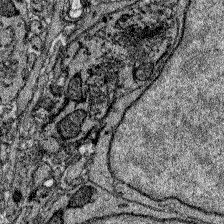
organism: Zebrafish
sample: Larval olfactory bulb